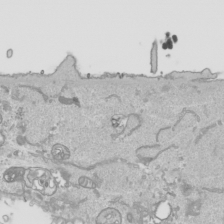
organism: Human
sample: Mitochondria in HCT116 cells